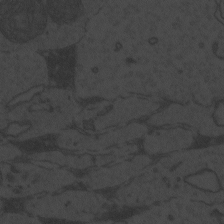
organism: Zebrafish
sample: Macrophage infected with Toxoplasma gondii